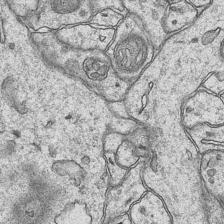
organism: Mouse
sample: CA1 Hippocampus